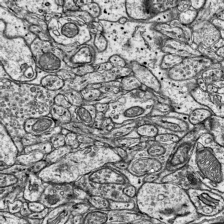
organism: Mouse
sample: Visual Cortex